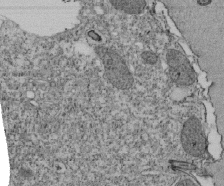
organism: Tetrahymena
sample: Cilia in tetrahymena